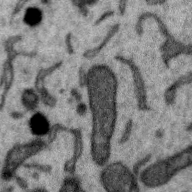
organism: Zebra finch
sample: Brain